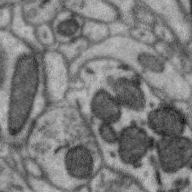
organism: Zebra finch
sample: Brain